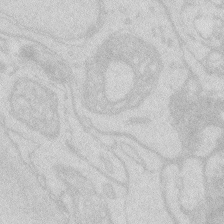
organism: Zebrafish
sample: Macrophage